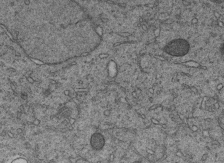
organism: C. elegans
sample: C. elegans embryo early stage